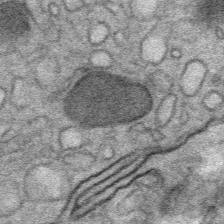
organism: Mouse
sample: Mouse Salivary gland